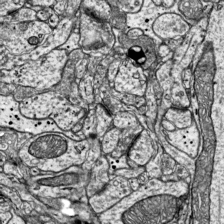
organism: Mouse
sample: Visual Cortex